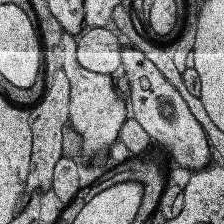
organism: Human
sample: Temporal Lobe